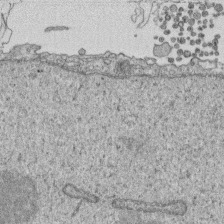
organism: Human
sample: HeLa cell HIV synapse